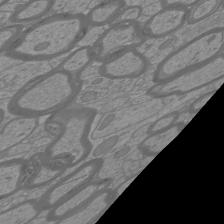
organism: Mouse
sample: Cortical neurons